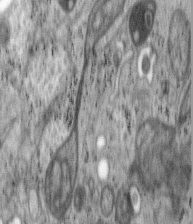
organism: Human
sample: HeLa cells